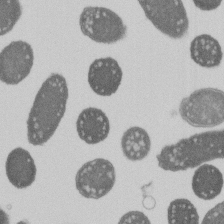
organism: E. coli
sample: Bacterial nucleoid